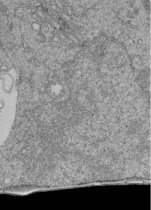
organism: Human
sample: Retinal organoid Rod and Cone cells